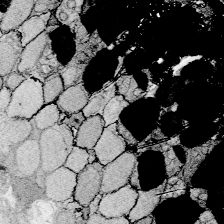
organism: Zebrafish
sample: Whole-Brain